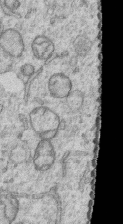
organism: Human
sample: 1205lu cells